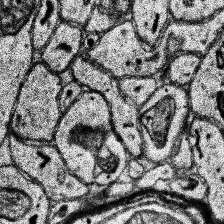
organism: Human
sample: Temporal Lobe